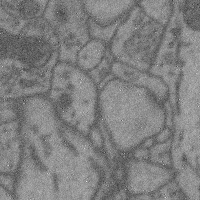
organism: Mouse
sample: Cerebral cortex